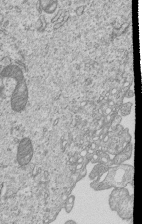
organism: Human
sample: MDA-MB-231 cells